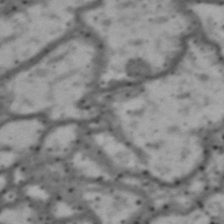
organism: Drosophila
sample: Brain